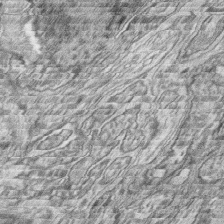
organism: Zebrafish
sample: synaptic ribbons in rod cells and cone cells